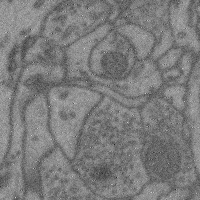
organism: Mouse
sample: Cerebral cortex